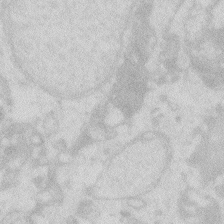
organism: Zebrafish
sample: Macrophage